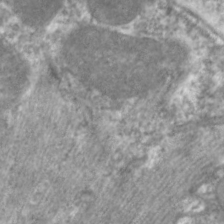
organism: C. elegans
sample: Pharynx